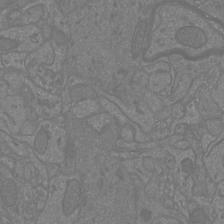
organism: Mouse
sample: Cortical neurons